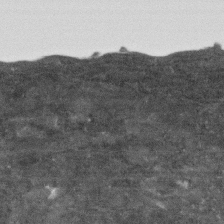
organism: Human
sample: Fibroblast cells